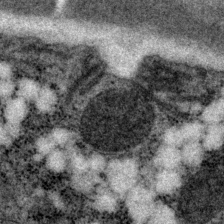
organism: P. pacificus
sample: Pharynx